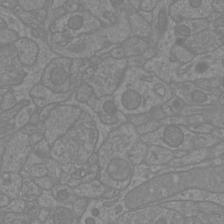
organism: Mouse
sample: Cortical neurons